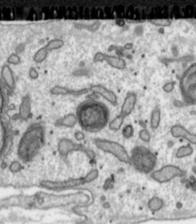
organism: Toxoplasma gondii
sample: Parasites in a vacuole inside a host cell